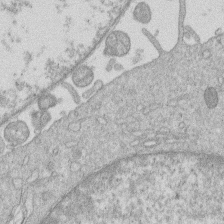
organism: Human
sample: Macrophage cells